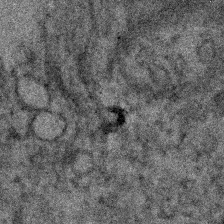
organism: Human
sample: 1205lu cells